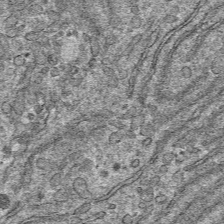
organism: Mouse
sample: Mouse hepatocytes